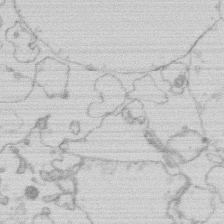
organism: Human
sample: Macrophage cells